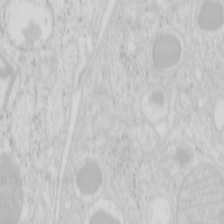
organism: Mouse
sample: Pancreas